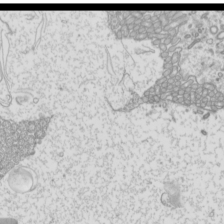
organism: Mouse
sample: Cilia; mouse epididymis